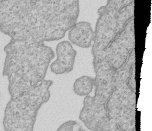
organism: Human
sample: MDA-MB-231 cells